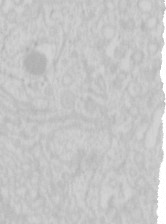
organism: Mouse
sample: Pancreas